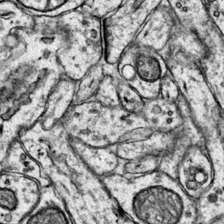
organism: Mouse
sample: Primary visual cortex